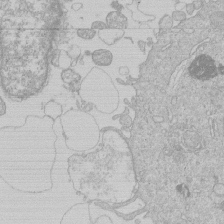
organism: Human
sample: Macrophage cells